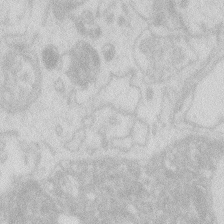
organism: Zebrafish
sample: Macrophage